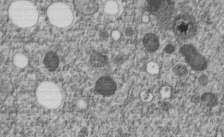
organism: C. elegans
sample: C. elegans embryo early stage